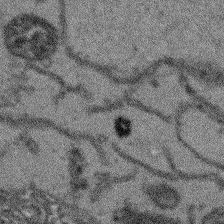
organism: Arabidopsis thaliana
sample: Root tip